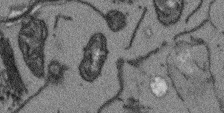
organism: Arabidopsis thaliana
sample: Root tip